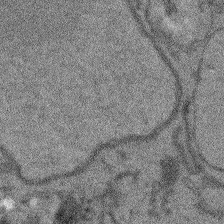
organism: Arabidopsis thaliana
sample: Root tip